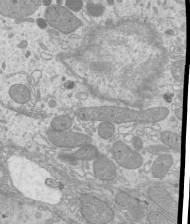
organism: Mouse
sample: Cilia; mouse epididymis